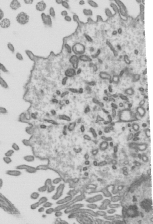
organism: Mouse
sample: Mouse epididymis efferent ductule cilia